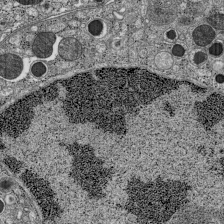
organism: C57BL Mouse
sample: Pancreatic islet